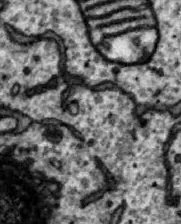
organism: Human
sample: HeLa cells